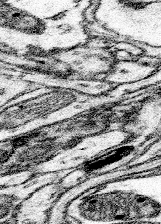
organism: Mouse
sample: Somatosensory cortex neuropil